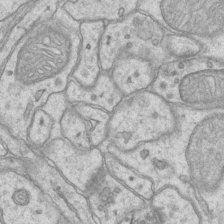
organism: Mouse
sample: CA1 Hippocampus